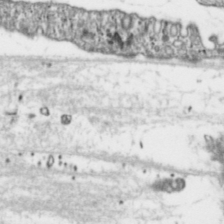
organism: Toxoplasma gondii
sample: Parasites in a vacuole inside a host cell